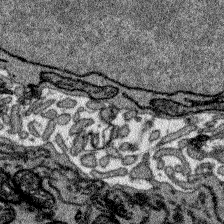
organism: Zebrafish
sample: Larval olfactory bulb